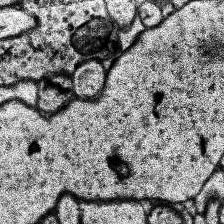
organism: Human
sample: Temporal Lobe